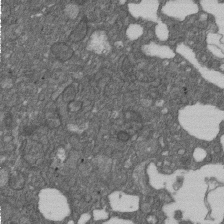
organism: Drosophila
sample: Nephrocyte